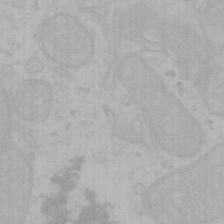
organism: Mouse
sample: Choroid plexus